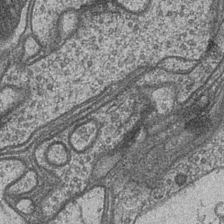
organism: Drosophila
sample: Optic medulla